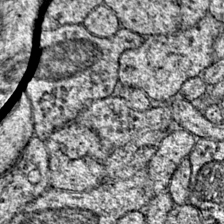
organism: Mouse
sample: Primary visual cortex